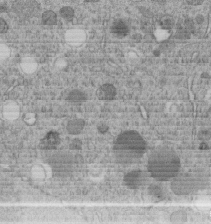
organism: C. elegans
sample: C. elegans embryo early stage